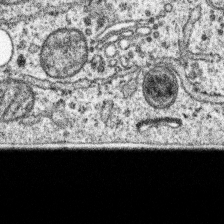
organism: Human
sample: HeLa cells